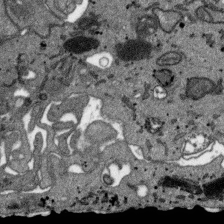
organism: Human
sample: Lung epithelial cells, uninfected (mock) control